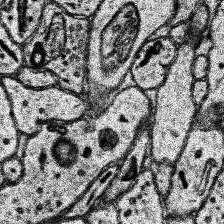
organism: Human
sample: Temporal Lobe